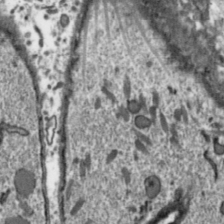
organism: Toxoplasma gondii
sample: Parasites in a vacuole inside a host cell